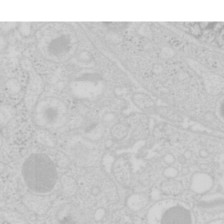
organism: Mouse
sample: Pancreas